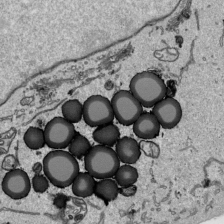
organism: Human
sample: Mitochondria in HCT116 cells